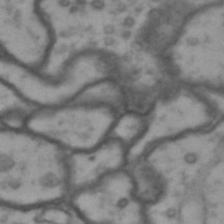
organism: Drosophila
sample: Brain